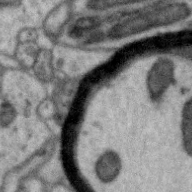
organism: Zebra finch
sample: Brain